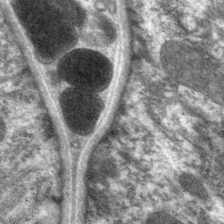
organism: C. elegans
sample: Pharynx